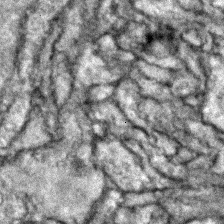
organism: Zebrafish